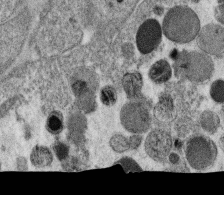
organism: C. elegans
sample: C. elegans oocyte; sperm cells